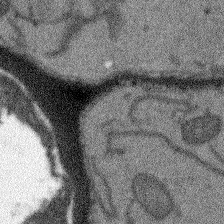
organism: Arabidopsis thaliana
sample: Root tip